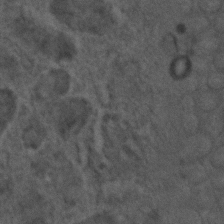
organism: C. elegans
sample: C. elegans embryo